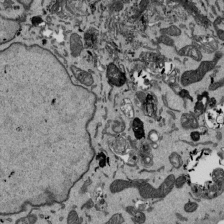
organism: Mouse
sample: ED-1 cell nuclei; centrioles